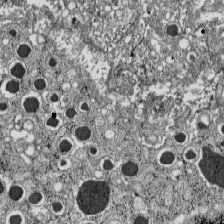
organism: C57BL Mouse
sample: Pancreatic islet